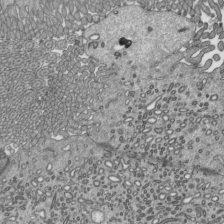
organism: Mouse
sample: Mouse epididymis efferent ductule cilia